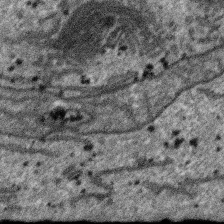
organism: Human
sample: Lung epithelial cells infected with SARS-CoV-2